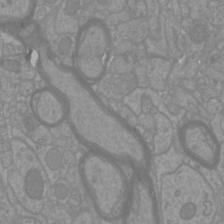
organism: Mouse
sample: Cortical neurons